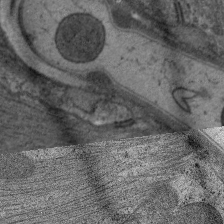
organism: C. elegans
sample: Pharynx